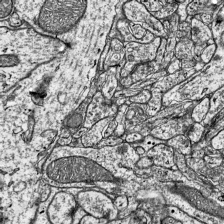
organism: Mouse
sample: Visual Cortex